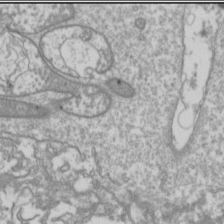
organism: Drosophila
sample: Cell division; meiosis; drosophila spermatocytes